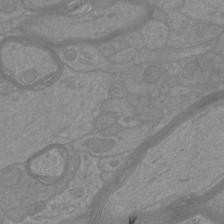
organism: Mouse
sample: Cortical neurons